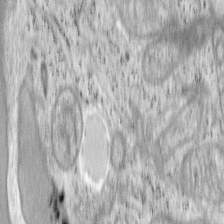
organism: Human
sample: HeLa cells